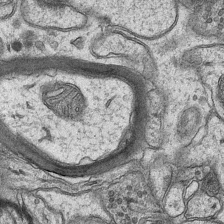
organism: Mouse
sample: CA1 Hippocampus